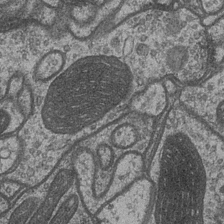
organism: Drosophila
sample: Optic medulla